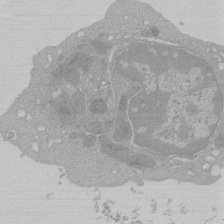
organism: Mouse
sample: Activated Pmel transgenic CD8+ T Cells